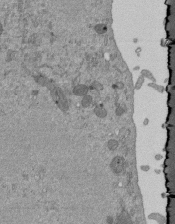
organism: Mouse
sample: ED-1 cell nuclei; centrioles